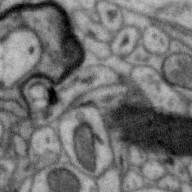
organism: Zebra finch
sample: Brain